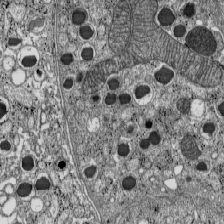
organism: C57BL Mouse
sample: Pancreatic islet